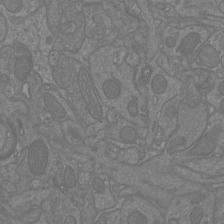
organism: Mouse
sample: Cortical neurons